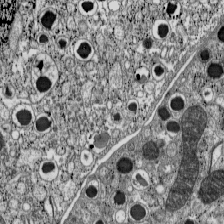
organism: C57BL Mouse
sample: Pancreatic islet